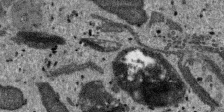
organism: Human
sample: Lung epithelial cells, uninfected (mock) control